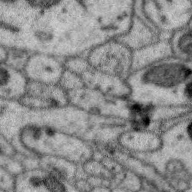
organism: Zebra finch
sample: Brain